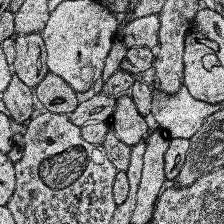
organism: Human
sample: Temporal Lobe